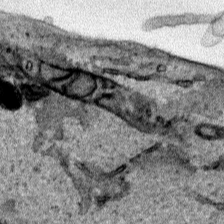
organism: Human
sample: Mitochondria in HCT116 cells